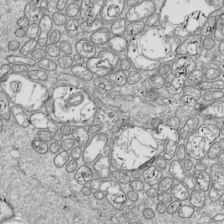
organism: Drosophila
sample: Cell division; meiosis; drosophila spermatocytes